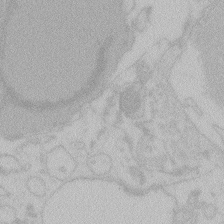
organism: Zebrafish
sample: Macrophage infected with Toxoplasma gondii